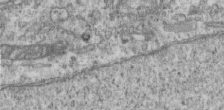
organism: Human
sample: Centriole in RPE cells